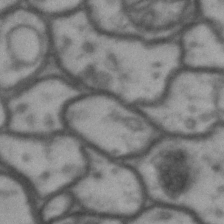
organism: Drosophila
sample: Brain